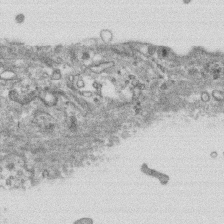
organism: Human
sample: CRL-1474